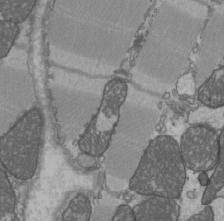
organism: C57BL Mouse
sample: Heart